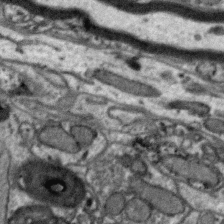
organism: Zebra finch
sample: Brain